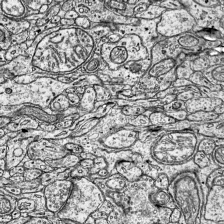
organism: Mouse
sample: Visual Cortex